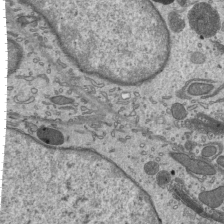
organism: Mouse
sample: Mouse epididymis efferent ductule cilia